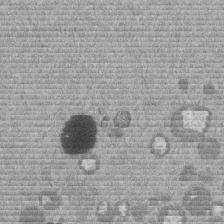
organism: Mouse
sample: Dividing mouse embryo 1 cell stage